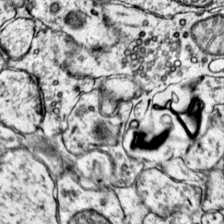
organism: Mouse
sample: Primary visual cortex